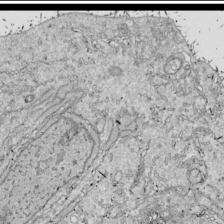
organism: Drosophila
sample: Cell division; meiosis; drosophila spermatocytes